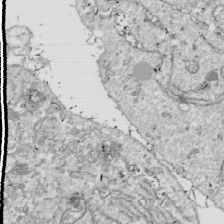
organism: Drosophila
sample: Cell division; meiosis; drosophila spermatocytes